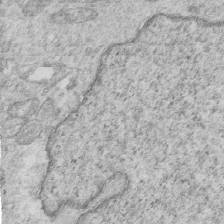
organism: Mouse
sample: Multiciliated cells